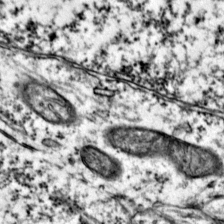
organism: Mouse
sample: Primary visual cortex